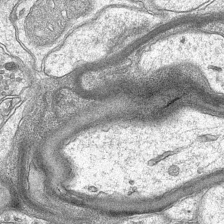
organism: Mouse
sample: CA1 Hippocampus